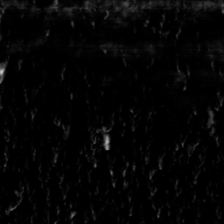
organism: Toxoplasma gondii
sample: Parasites in a vacuole inside a host cell